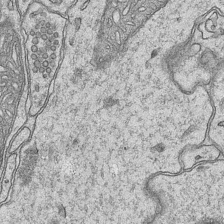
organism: Mouse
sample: CA1 Hippocampus